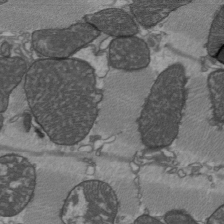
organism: C57BL Mouse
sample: Heart